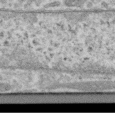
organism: Human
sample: Centriole in RPE cells